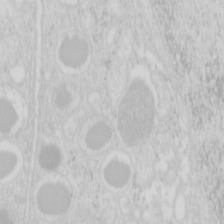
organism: Mouse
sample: Pancreas